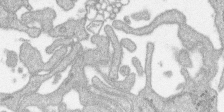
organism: Human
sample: Lung epithelial cells infected with SARS-CoV-2